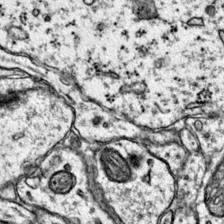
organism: Mouse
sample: Primary visual cortex